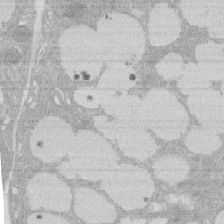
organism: Rat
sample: Salivary granule